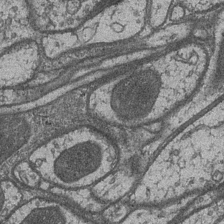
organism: Drosophila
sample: Optic medulla